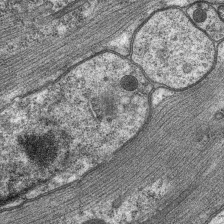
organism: C. elegans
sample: Pharynx